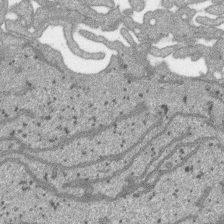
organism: Human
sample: Lung epithelial cells infected with SARS-CoV-2